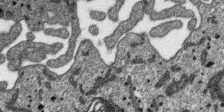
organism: Human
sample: Lung epithelial cells infected with SARS-CoV-2